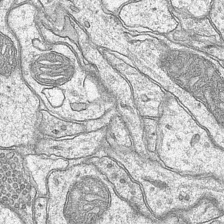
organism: Mouse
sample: CA1 Hippocampus